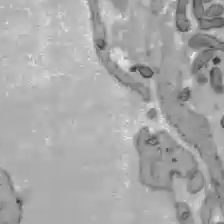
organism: C57BL Mouse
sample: Liver